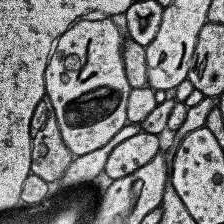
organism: Human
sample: Temporal Lobe